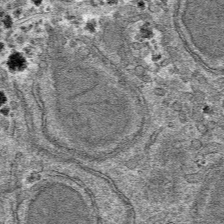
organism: Mouse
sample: Mouse hepatocytes